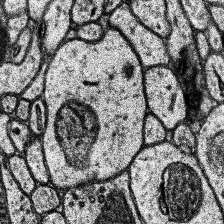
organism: Human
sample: Temporal Lobe